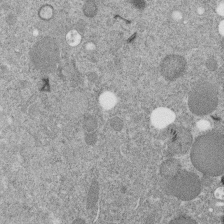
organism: C. elegans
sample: C. elegans embryo early stage